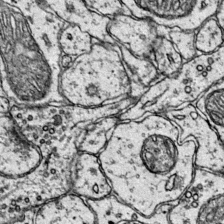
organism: Mouse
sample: Primary visual cortex